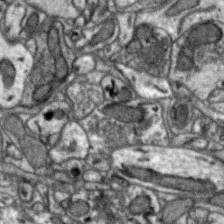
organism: Zebra finch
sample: Brain